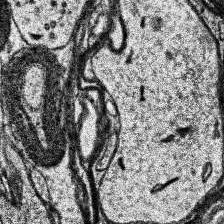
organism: Human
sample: Temporal Lobe